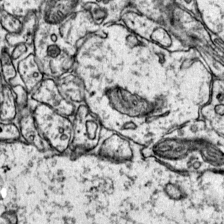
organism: Mouse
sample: Primary visual cortex